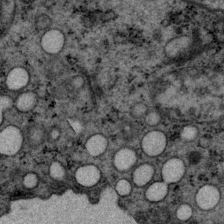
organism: P. pacificus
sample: Pharynx